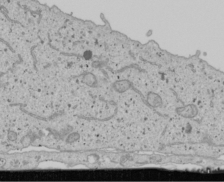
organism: Human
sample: Mitochondria in U2OS cells